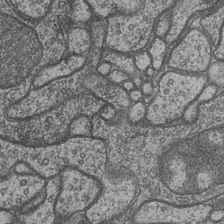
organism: Drosophila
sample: Optic medulla